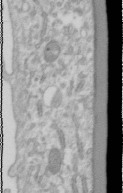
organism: Human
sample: Cilia; basal body in RPE cells